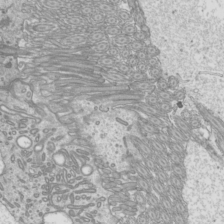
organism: Mouse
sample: Cilia; mouse epididymis